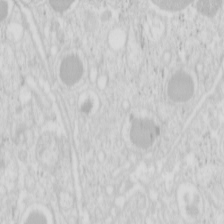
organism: Mouse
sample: Pancreas